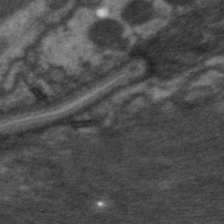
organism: C. elegans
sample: Pharynx